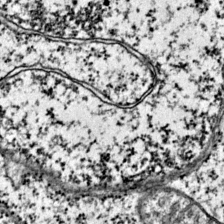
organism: Mouse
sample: Primary visual cortex